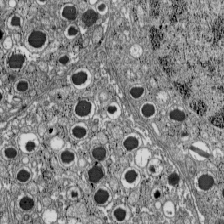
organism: C57BL Mouse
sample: Pancreatic islet